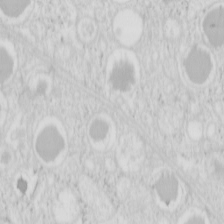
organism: Mouse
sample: Pancreas